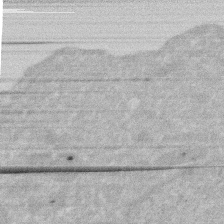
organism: Human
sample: HIV infected U937 cells